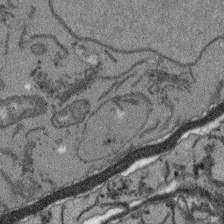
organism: Arabidopsis thaliana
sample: Root tip